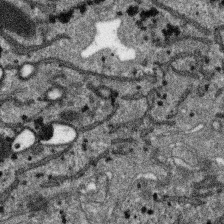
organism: Human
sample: Lung epithelial cells infected with SARS-CoV-2